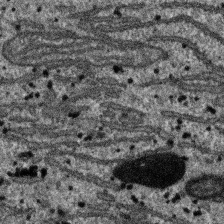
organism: Human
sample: Lung epithelial cells infected with SARS-CoV-2